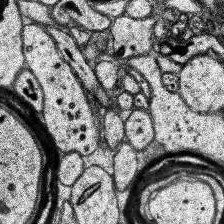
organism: Human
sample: Temporal Lobe